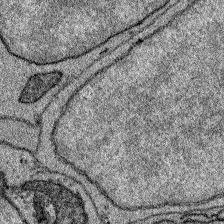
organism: Zebrafish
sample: Larval olfactory bulb